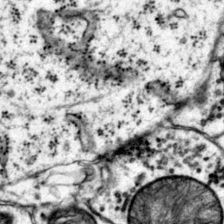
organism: Mouse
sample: Primary visual cortex